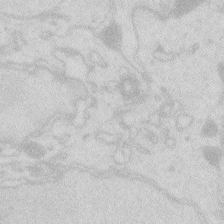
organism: Zebrafish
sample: Macrophage